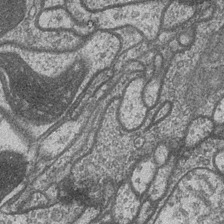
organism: Drosophila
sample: Optic medulla